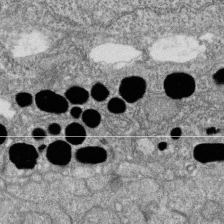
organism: Zebrafish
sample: Cilia; retinal pigment epithelium